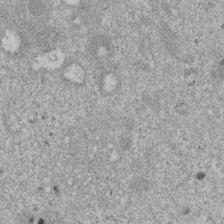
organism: Mouse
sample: Dividing mouse embryo 1 cell stage